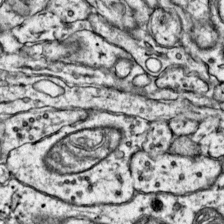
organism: Mouse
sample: Primary visual cortex